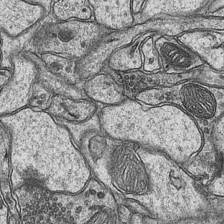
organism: Mouse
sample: CA1 Hippocampus